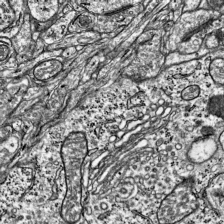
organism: Mouse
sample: Visual Cortex